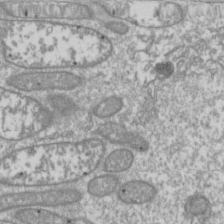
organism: Drosophila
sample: Cell division; meiosis; drosophila spermatocytes